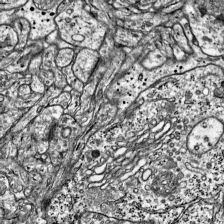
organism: Mouse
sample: Visual Cortex